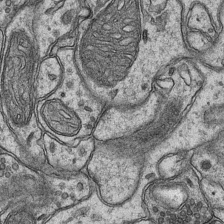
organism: Mouse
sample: CA1 Hippocampus